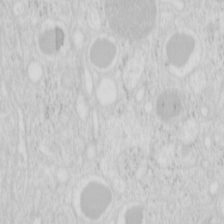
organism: Mouse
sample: Pancreas